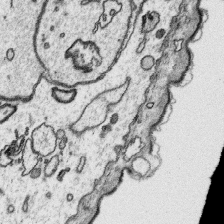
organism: Platynereis dumerilii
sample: Parapodia